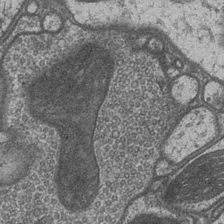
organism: Drosophila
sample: Optic medulla